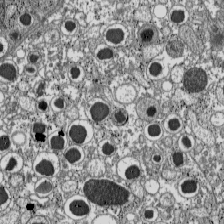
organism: C57BL Mouse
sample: Pancreatic islet